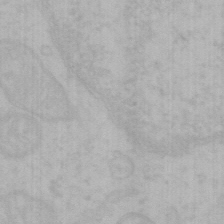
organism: Mouse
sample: Choroid plexus